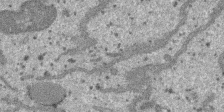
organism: Human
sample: Lung epithelial cells infected with SARS-CoV-2